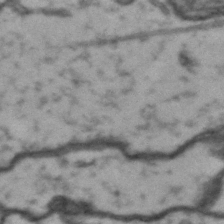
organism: Drosophila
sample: Brain